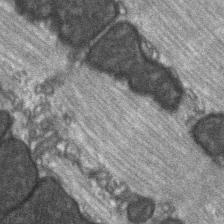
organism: C57BL Mouse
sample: Soleus